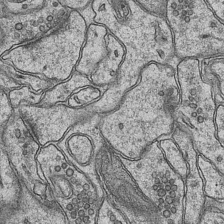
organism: Mouse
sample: CA1 Hippocampus